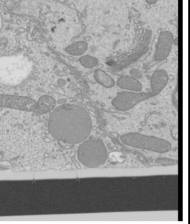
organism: Mouse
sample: Cilia; mouse epididymis